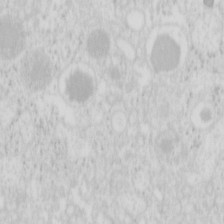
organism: Mouse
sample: Pancreas